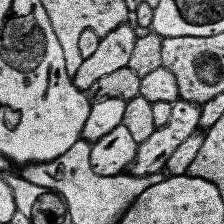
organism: Human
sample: Temporal Lobe